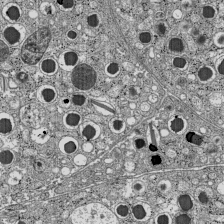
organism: C57BL Mouse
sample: Pancreatic islet